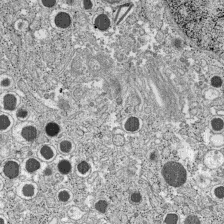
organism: C57BL Mouse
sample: Pancreatic islet